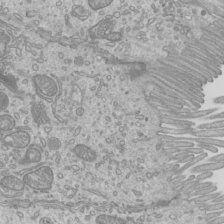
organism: Mouse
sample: Cilia; mouse epididymis